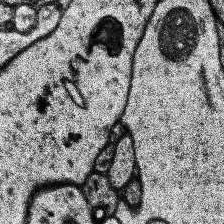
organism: Human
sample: Temporal Lobe